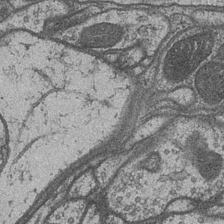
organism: Drosophila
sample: Optic medulla